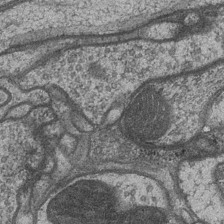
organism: Drosophila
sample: Optic medulla